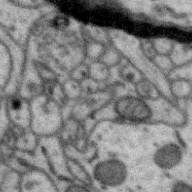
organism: Zebra finch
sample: Brain